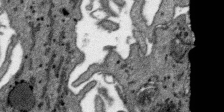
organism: Human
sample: Lung epithelial cells, uninfected (mock) control